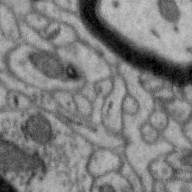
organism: Zebra finch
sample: Brain